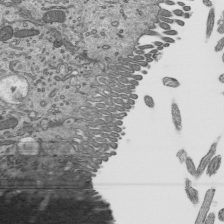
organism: Mouse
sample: Mouse epididymis efferent ductule cilia